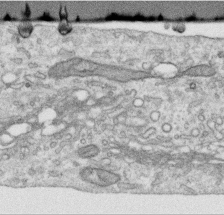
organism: Human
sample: Centriole in RPE cells